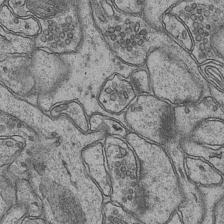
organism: Mouse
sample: CA1 Hippocampus